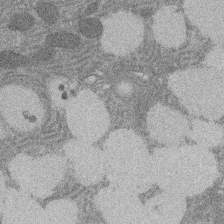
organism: Rat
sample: Salivary granule